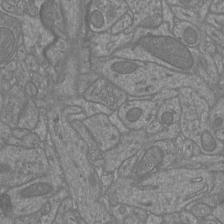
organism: Mouse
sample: Cortical neurons